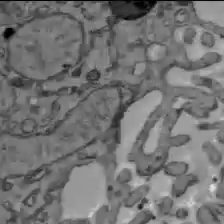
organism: C57BL Mouse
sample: Liver